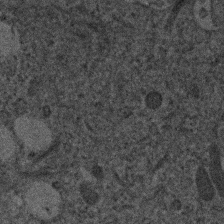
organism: Human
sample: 1205lu cells